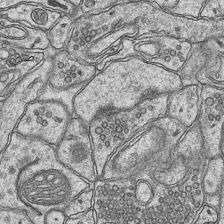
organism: Mouse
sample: CA1 Hippocampus